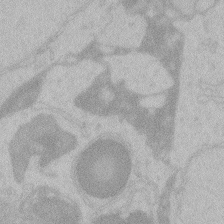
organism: Zebrafish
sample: Macrophage infected with Toxoplasma gondii